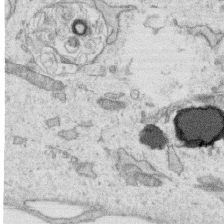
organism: Human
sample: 1205lu cells